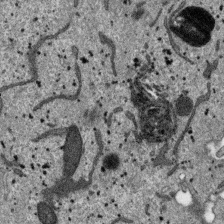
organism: Human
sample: Lung epithelial cells, uninfected (mock) control